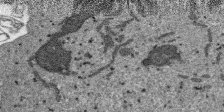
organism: Human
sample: Lung epithelial cells infected with SARS-CoV-2